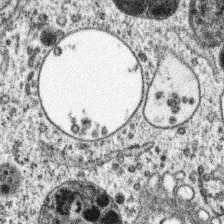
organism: Human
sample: HeLa cells